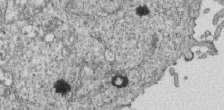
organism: Human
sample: HeLa cell HIV synapse